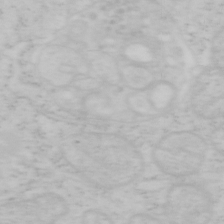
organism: Mouse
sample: OT-I killer T cells with ID8 ovarian cancer cells